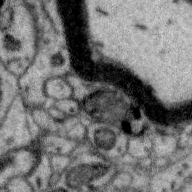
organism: Zebra finch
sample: Brain